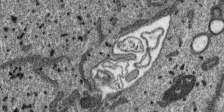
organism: Human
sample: Lung epithelial cells infected with SARS-CoV-2